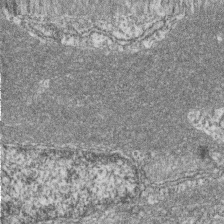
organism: Zebrafish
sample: Cilia; retinal pigment epithelium